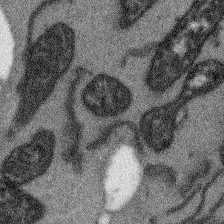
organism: Arabidopsis thaliana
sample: Root tip